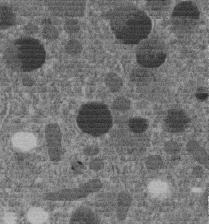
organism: C. elegans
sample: C. elegans embryo early stage